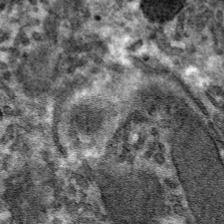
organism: Mouse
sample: Mouse hepatocytes